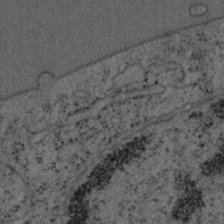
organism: Human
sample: HeLa cells